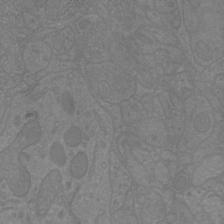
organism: Mouse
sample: Cortical neurons